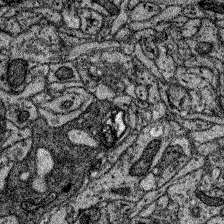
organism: Zebrafish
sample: Larval olfactory bulb